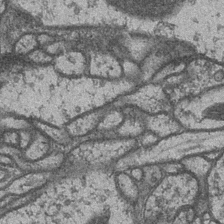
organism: Drosophila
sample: Optic medulla